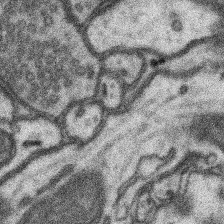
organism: Mouse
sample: Somatosensory cortex neuropil